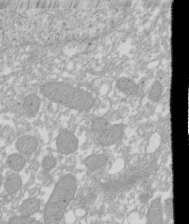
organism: Xenopus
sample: Cilia; centrioles in frog embryo cells